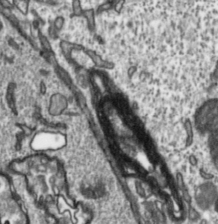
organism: Toxoplasma gondii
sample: Parasites in a vacuole inside a host cell